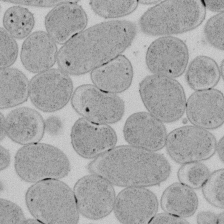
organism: E. coli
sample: Bacterial nucleoid